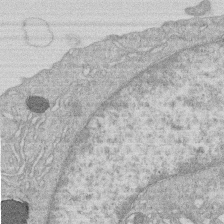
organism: Human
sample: Macrophage cells